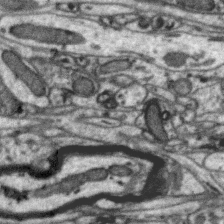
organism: Zebra finch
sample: Brain